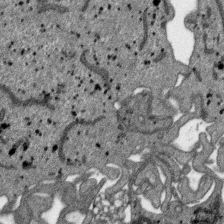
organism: Human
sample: Lung epithelial cells, uninfected (mock) control